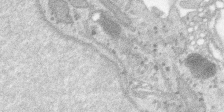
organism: Human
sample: Lung epithelial cells infected with SARS-CoV-2